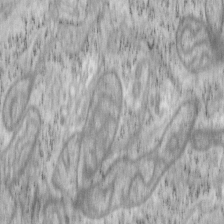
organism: Human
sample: HeLa cells